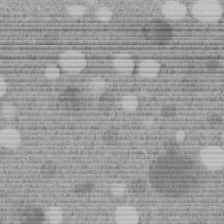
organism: C. elegans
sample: C. elegans embryo early stage